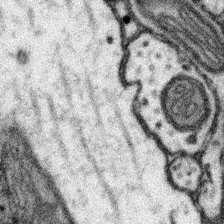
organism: Mouse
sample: Somatosensory cortex neuropil